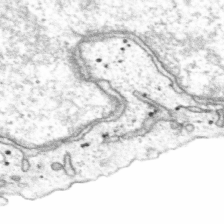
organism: Human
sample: HeLa cells